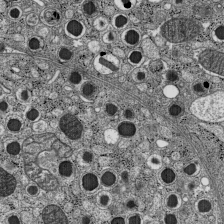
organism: C57BL Mouse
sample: Pancreatic islet